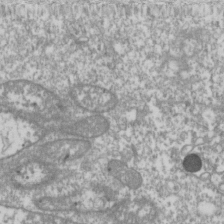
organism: Drosophila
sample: Cell division; meiosis; drosophila spermatocytes